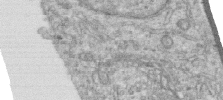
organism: Human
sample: Centriole in RPE cells